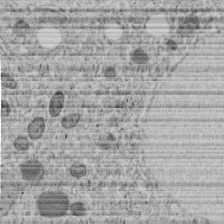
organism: C. elegans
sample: C. elegans embryo early stage